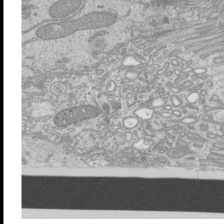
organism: Mouse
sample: Cilia; mouse epididymis